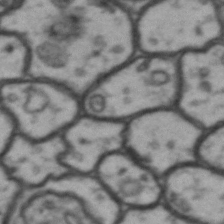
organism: Drosophila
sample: Brain